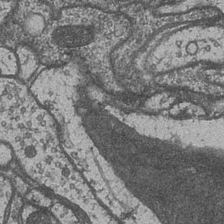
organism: Drosophila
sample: Optic medulla